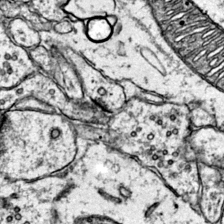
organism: Mouse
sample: Primary visual cortex